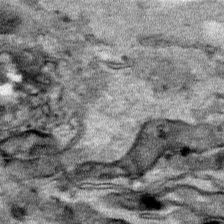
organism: Human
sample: Mitochondria in HCT116 cells